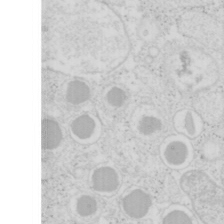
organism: Mouse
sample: Pancreas